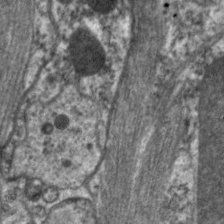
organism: C. elegans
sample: Pharynx